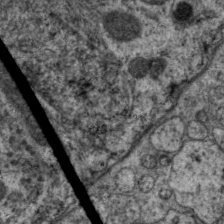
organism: C. elegans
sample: Pharynx